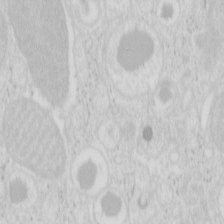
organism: Mouse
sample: Pancreas